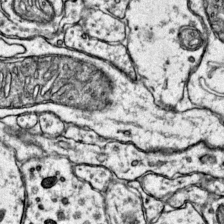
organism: Mouse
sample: Primary visual cortex